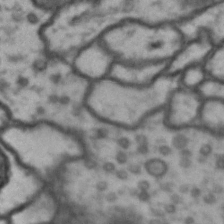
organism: Drosophila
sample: Brain